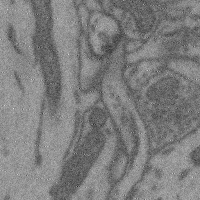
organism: Mouse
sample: Cerebral cortex